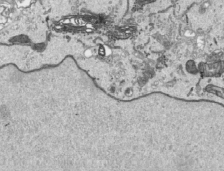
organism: Human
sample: Mitochondria in HCT116 cells